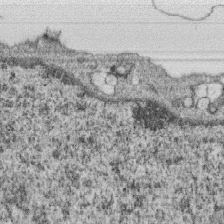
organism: African green monkey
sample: Vero E6 cells infected with SARS-CoV-2